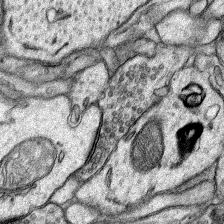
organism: Rat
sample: Hippocampus